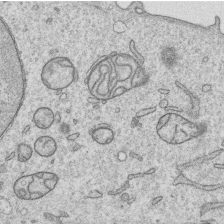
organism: Human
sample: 1205lu cells